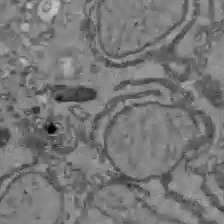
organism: C57BL Mouse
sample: Liver